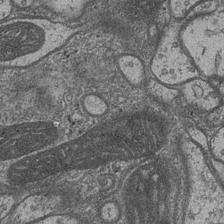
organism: Drosophila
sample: Optic medulla